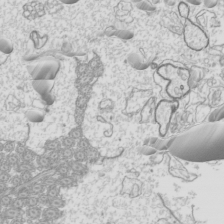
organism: Mouse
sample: Cilia; mouse epididymis